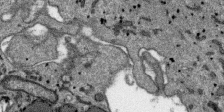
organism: Human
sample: Lung epithelial cells, uninfected (mock) control